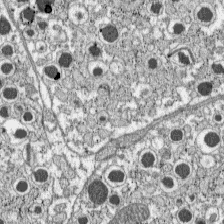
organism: C57BL Mouse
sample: Pancreatic islet